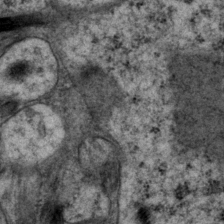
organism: P. pacificus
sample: Pharynx